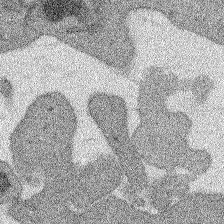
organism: Human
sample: HeLa cells